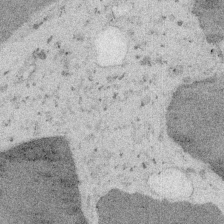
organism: Embia sp.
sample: Silk gland